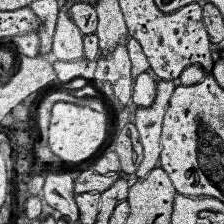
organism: Human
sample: Temporal Lobe